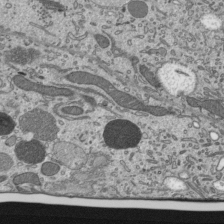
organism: Mouse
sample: Mouse epididymis efferent ductule cilia